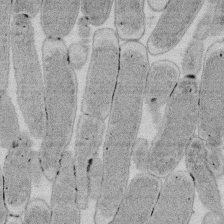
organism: E. coli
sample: Bacterial nucleoid